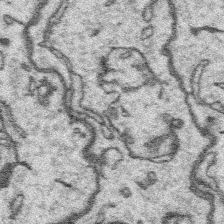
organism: Platynereis dumerilii